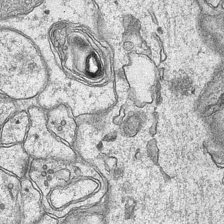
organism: Mouse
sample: CA1 Hippocampus